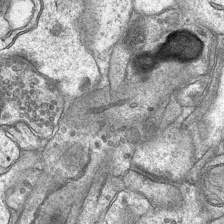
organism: Mouse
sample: CA1 Hippocampus